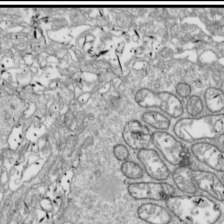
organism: Drosophila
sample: Cell division; meiosis; drosophila spermatocytes